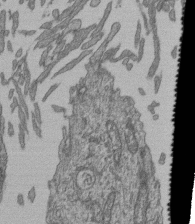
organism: Human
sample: Retinal organoid Rod and Cone cells